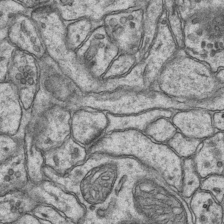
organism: Mouse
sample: CA1 Hippocampus